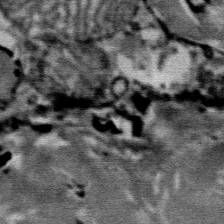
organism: Mouse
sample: Mouse Salivary gland